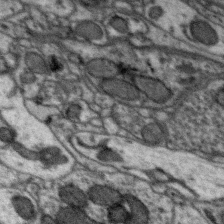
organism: Zebra finch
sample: Brain